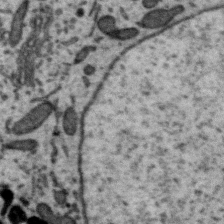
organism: Zebra finch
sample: Brain